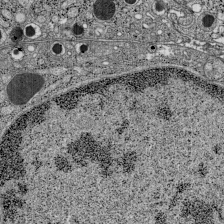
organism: C57BL Mouse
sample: Pancreatic islet